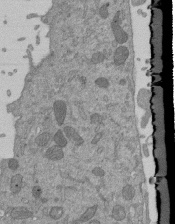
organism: Mouse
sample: ED-1 cell nuclei; centrioles